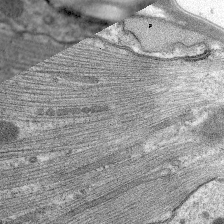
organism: C. elegans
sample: Pharynx